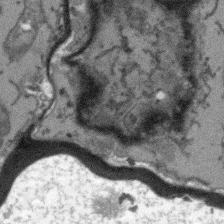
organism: Arabidopsis thaliana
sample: Root tip